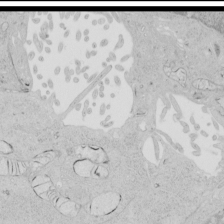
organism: Human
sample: Mitochondria in HCT116 cells